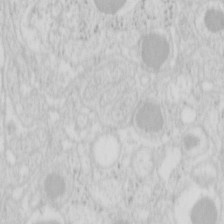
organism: Mouse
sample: Pancreas